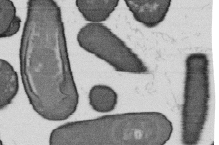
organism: B. subtilis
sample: Bacterial spore